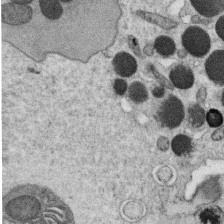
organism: C. elegans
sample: C. elegans oocyte; sperm cells